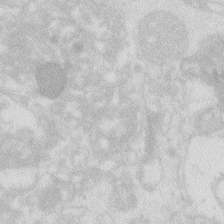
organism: Zebrafish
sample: Macrophage